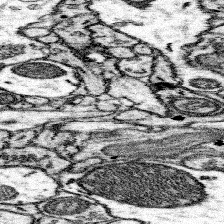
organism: Mouse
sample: Somatosensory cortex neuropil